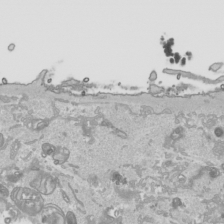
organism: Human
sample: Mitochondria in HCT116 cells